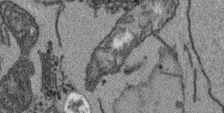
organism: Arabidopsis thaliana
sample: Root tip